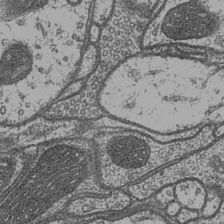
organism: Drosophila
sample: Optic medulla